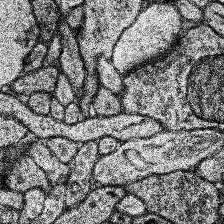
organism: Human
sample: Temporal Lobe